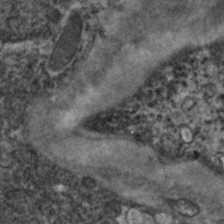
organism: Zebrafish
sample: Zebrafish embryo